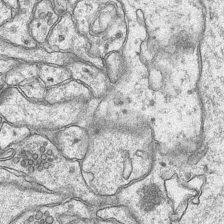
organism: Mouse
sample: CA1 Hippocampus